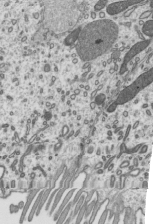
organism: Mouse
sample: Mouse epididymis efferent ductule cilia